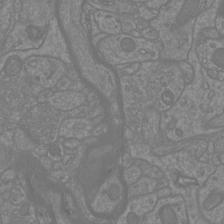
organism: Mouse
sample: Cortical neurons